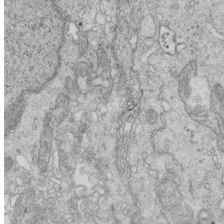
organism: Mouse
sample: Multiciliated cells